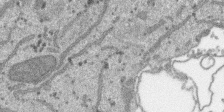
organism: Human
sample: Lung epithelial cells infected with SARS-CoV-2